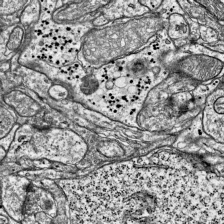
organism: Mouse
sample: Visual Cortex